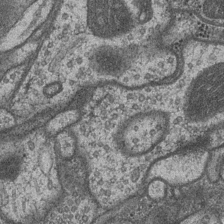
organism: Drosophila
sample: Optic medulla